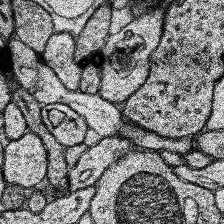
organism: Human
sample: Temporal Lobe